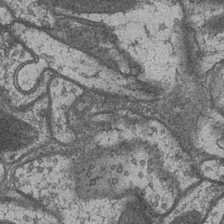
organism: Drosophila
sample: Optic medulla